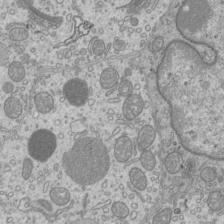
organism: Mouse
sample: Cilia; mouse epididymis